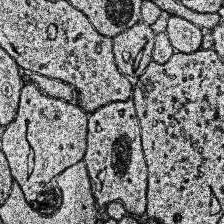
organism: Human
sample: Temporal Lobe